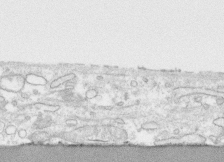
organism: Human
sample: CRL-1474